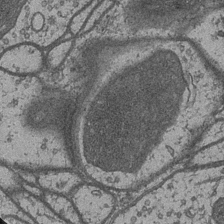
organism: Drosophila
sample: Optic medulla